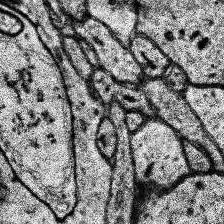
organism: Human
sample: Temporal Lobe